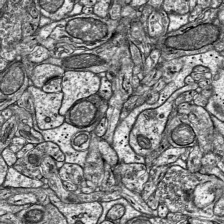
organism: Mouse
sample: Visual Cortex